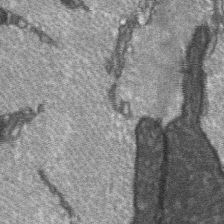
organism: C57BL Mouse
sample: Soleus